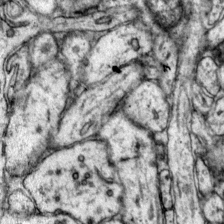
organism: Mouse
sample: Primary visual cortex